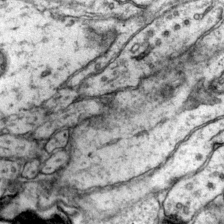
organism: Mouse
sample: Primary visual cortex